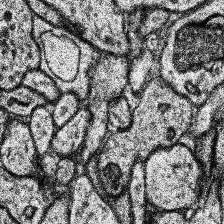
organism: Human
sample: Temporal Lobe